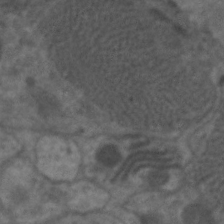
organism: C. elegans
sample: Pharynx